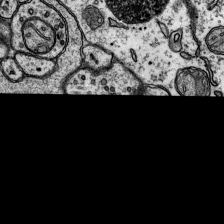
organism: Rat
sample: Hippocampus